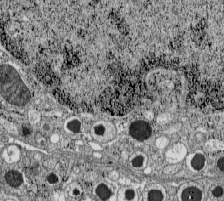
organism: C57BL Mouse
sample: Pancreatic islet